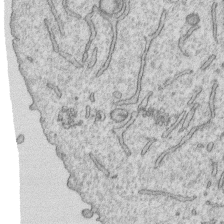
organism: Human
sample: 1205lu cells